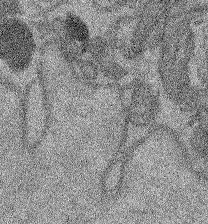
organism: Human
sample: HeLa cells